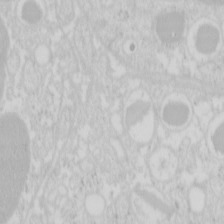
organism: Mouse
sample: Pancreas